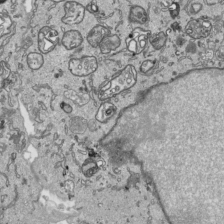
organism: Human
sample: Mitochondria in HCT116 cells